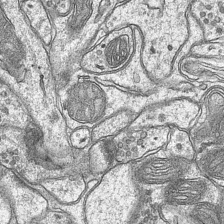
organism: Mouse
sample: CA1 Hippocampus